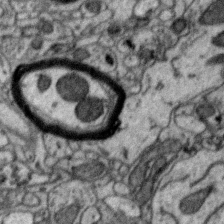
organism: Zebra finch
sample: Brain